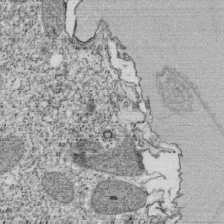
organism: Tetrahymena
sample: Cilia in tetrahymena